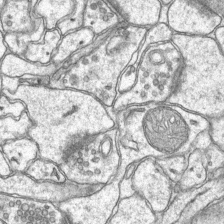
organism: Mouse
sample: CA1 Hippocampus